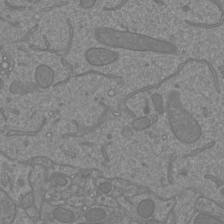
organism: Mouse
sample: Cortical neurons